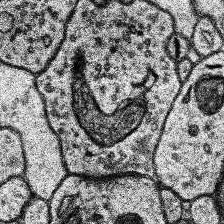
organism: Human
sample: Temporal Lobe